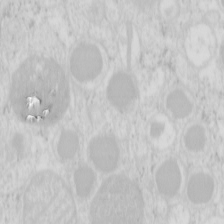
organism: Mouse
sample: Pancreas